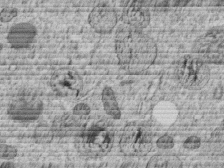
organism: C. elegans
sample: C. elegans embryo early stage